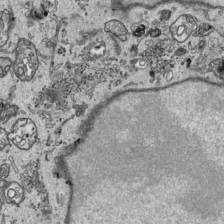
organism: Human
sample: Mitochondria in HCT116 cells